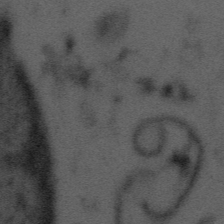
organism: Tuwongella immobilis